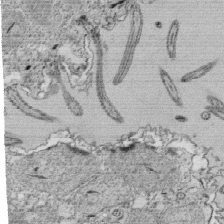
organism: Tetrahymena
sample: Cilia in tetrahymena